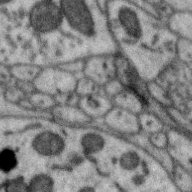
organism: Zebra finch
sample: Brain